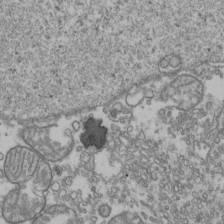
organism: Human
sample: Activated Jurkat CD4+ T cells